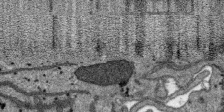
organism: Human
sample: Lung epithelial cells, uninfected (mock) control